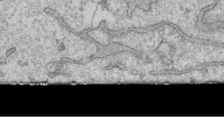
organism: Human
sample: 1205lu cells